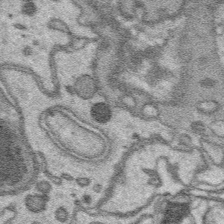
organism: Platynereis dumerilii